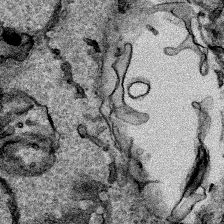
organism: Human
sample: Mitochondria in HCT116 cells